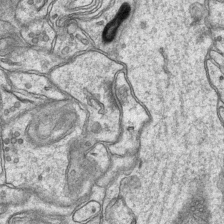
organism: Mouse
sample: CA1 Hippocampus